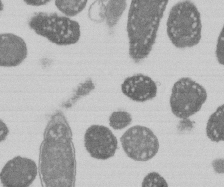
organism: E. coli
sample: Bacterial nucleoid